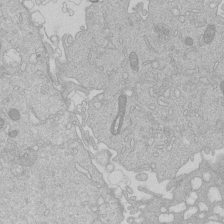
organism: Human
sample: Macrophage cells